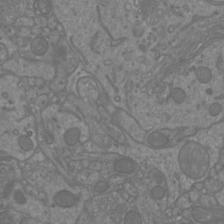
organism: Mouse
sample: Cortical neurons